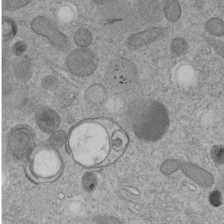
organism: C. elegans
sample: C. elegans embryo early stage